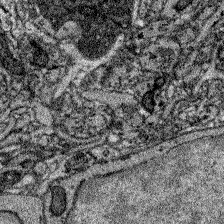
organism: Zebrafish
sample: Larval olfactory bulb